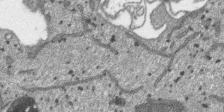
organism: Human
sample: Lung epithelial cells infected with SARS-CoV-2